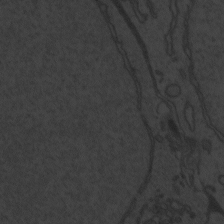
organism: Zebrafish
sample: Macrophage infected with Toxoplasma gondii